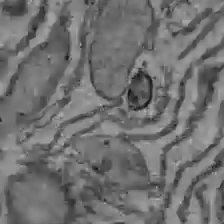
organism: C57BL Mouse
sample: Liver